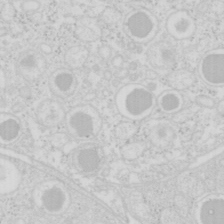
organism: Mouse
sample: Pancreas